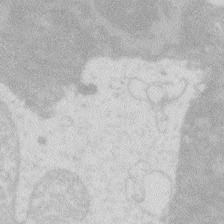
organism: Zebrafish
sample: Macrophage